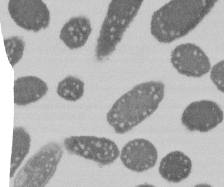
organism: E. coli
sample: Bacterial nucleoid